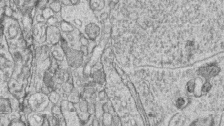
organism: Zebrafish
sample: synaptic ribbons in rod cells and cone cells